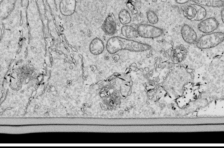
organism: Drosophila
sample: Cell division; meiosis; drosophila spermatocytes